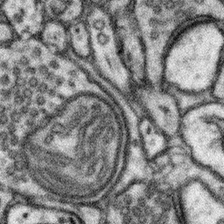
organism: Mouse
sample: Somatosensory cortex neuropil